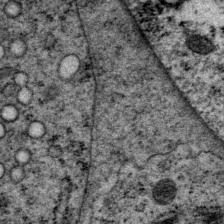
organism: P. pacificus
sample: Pharynx